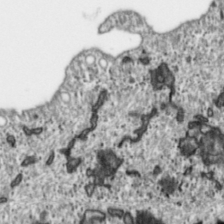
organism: Toxoplasma gondii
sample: Parasites in a vacuole inside a host cell